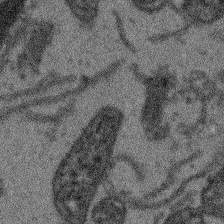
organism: Arabidopsis thaliana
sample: Root tip